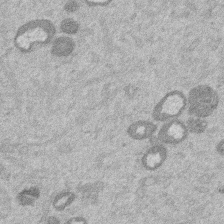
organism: Mouse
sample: Dividing mouse embryo 1 cell stage